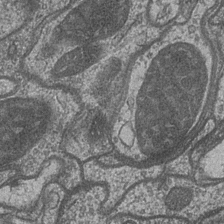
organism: Drosophila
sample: Optic medulla